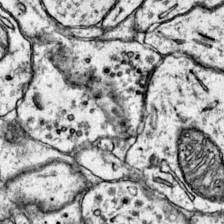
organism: Mouse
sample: Primary visual cortex